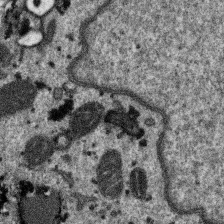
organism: Human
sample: Lung epithelial cells infected with SARS-CoV-2